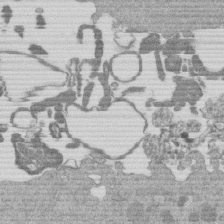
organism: Mouse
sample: Dividing mouse embryo 1 cell stage